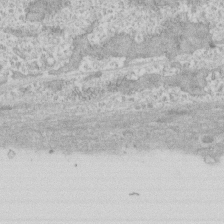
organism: Human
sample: CRL-1474